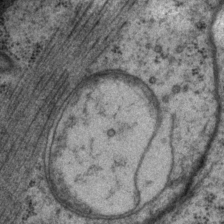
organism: P. pacificus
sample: Pharynx